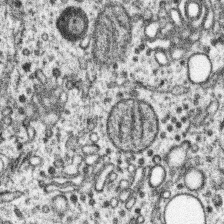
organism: Human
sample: HeLa cells